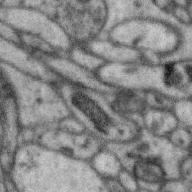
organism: Zebra finch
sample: Brain